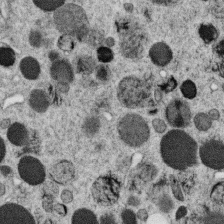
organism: C. elegans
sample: C. elegans oocyte; sperm cells